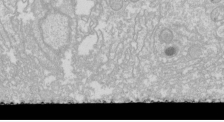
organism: Drosophila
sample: Cell division; meiosis; drosophila spermatocytes